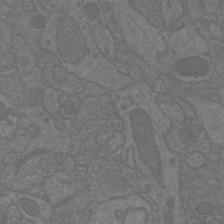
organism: Mouse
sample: Cortical neurons